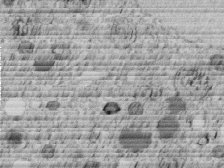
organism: C. elegans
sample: C. elegans embryo early stage